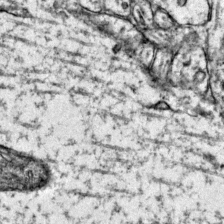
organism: Mouse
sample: Primary visual cortex